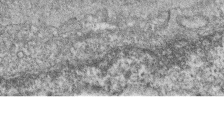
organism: Zebrafish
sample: Cilia; retinal pigment epithelium